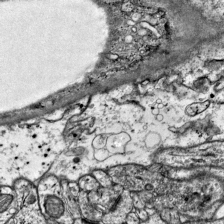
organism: Mouse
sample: Visual Cortex